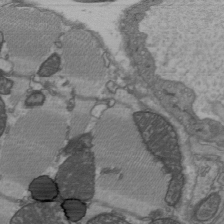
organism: C57BL Mouse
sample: Heart